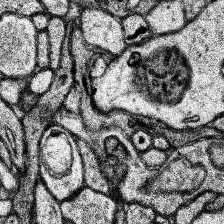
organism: Human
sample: Temporal Lobe